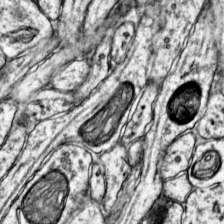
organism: Mouse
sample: Primary visual cortex